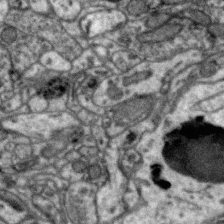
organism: Zebra finch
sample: Brain